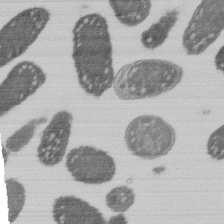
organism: E. coli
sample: Bacterial nucleoid